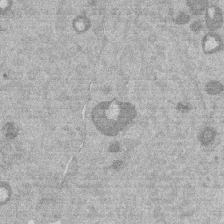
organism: Mouse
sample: Dividing mouse embryo 1 cell stage